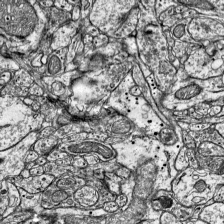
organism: Mouse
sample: Visual Cortex